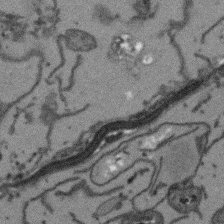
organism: Arabidopsis thaliana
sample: Root tip